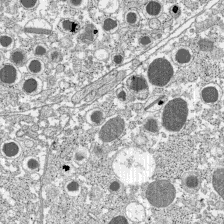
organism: C57BL Mouse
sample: Pancreatic islet